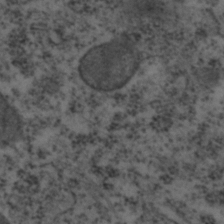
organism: C. elegans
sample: C. elegans embryo